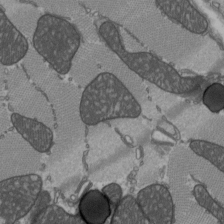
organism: C57BL Mouse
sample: Heart